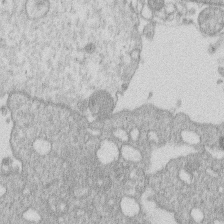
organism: Human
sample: Macrophage cells